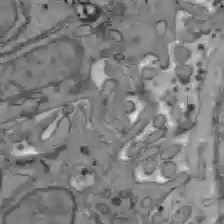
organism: C57BL Mouse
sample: Liver